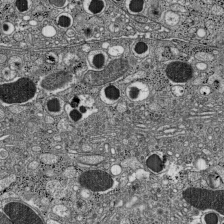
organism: C57BL Mouse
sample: Pancreatic islet